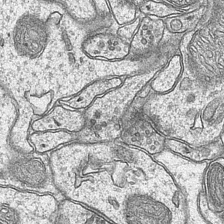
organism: Mouse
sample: CA1 Hippocampus